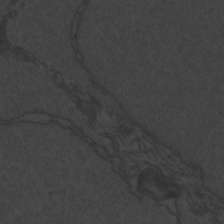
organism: Zebrafish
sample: Macrophage infected with Toxoplasma gondii